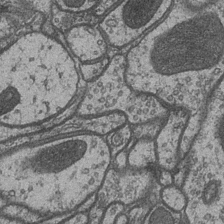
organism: Drosophila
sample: Optic medulla